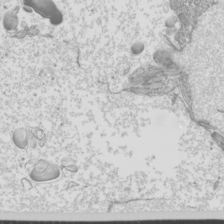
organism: Mouse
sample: Cilia; mouse epididymis